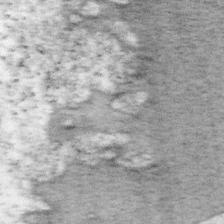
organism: Mouse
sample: OT-I killer T cells with ID8 ovarian cancer cells